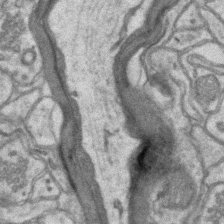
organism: Mouse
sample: CA1 Hippocampus